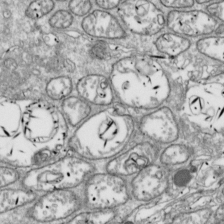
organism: Drosophila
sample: Cell division; meiosis; drosophila spermatocytes